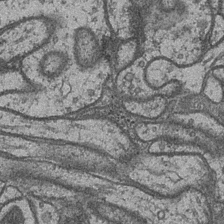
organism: Drosophila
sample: Optic medulla